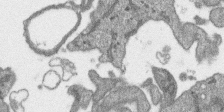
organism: Human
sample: Lung epithelial cells infected with SARS-CoV-2